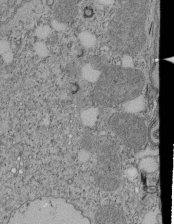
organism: Tetrahymena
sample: Cilia in tetrahymena